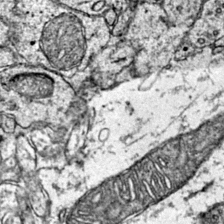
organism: Mouse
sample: Primary visual cortex